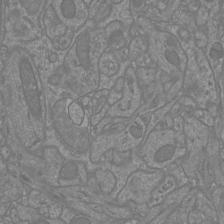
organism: Mouse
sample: Cortical neurons